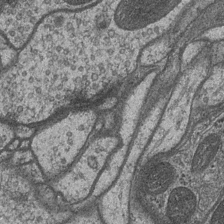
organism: Drosophila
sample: Optic medulla